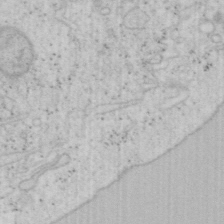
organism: Human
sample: HeLa cells